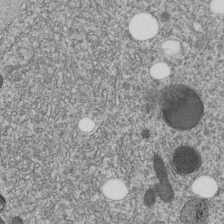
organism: C. elegans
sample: C. elegans embryo early stage